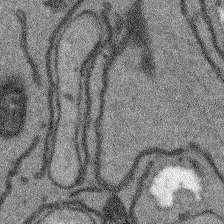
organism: Arabidopsis thaliana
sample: Root tip